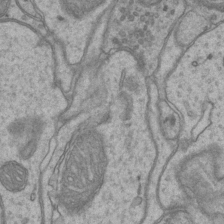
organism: Mouse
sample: CA1 Hippocampus